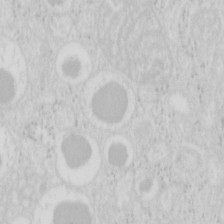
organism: Mouse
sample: Pancreas